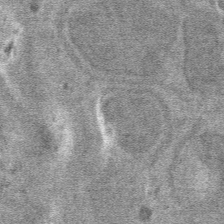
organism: Mouse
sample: Mouse hepatocytes